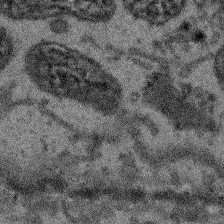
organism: Arabidopsis thaliana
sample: Root tip